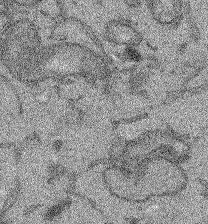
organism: Human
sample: HeLa cells